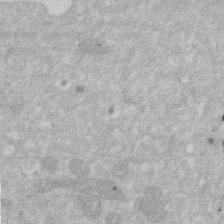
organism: Human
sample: HIV infected U937 cells